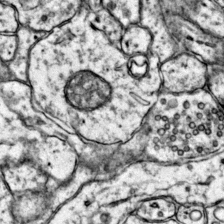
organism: Mouse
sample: Primary visual cortex